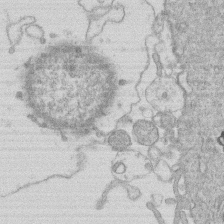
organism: Human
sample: Macrophage cells